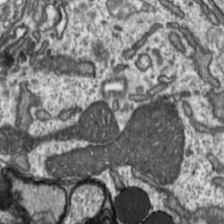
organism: Toxoplasma gondii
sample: Parasites in a vacuole inside a host cell